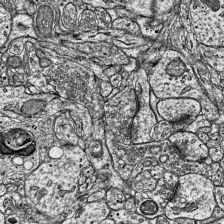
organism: Mouse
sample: Visual Cortex